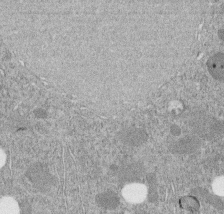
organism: C. elegans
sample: C. elegans embryo early stage